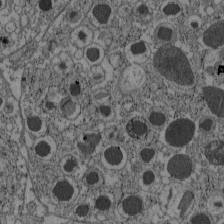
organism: C57BL Mouse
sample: Pancreatic islet